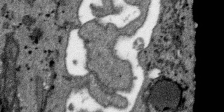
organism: Human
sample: Lung epithelial cells, uninfected (mock) control